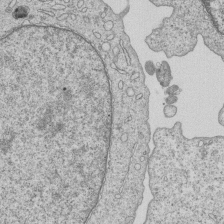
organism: Human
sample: MDA-MB-231 cells